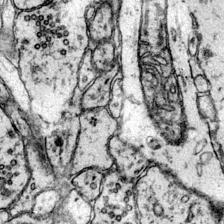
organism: Mouse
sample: Primary visual cortex